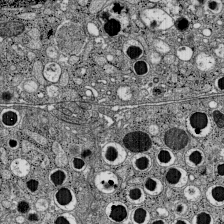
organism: C57BL Mouse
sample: Pancreatic islet